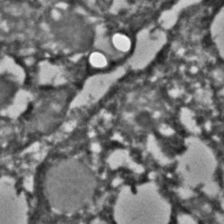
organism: C. elegans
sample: C. elegans embryo